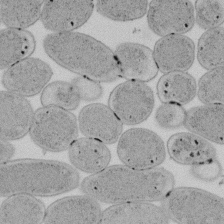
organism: E. coli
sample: Bacterial nucleoid